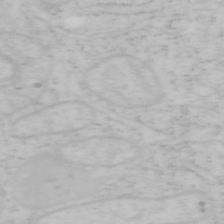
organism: Mouse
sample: OT-I killer T cells with ID8 ovarian cancer cells